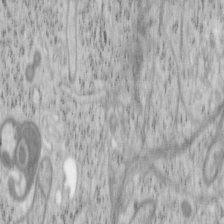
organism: Human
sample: HeLa cells